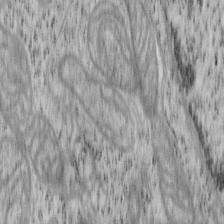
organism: Human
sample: HeLa cells